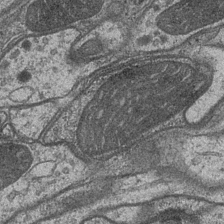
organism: Drosophila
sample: Optic medulla